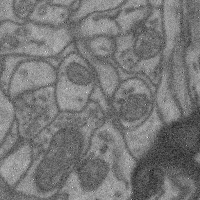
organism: Mouse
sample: Cerebral cortex